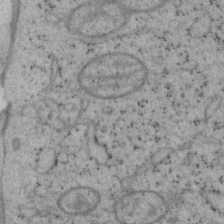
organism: Human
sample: HeLa cells